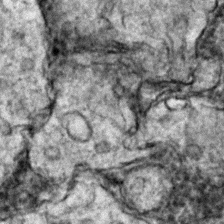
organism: Zebrafish